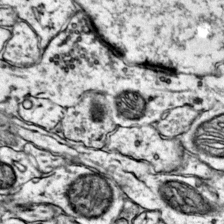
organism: Mouse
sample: Primary visual cortex